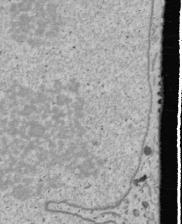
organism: Human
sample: Mitochondria in U2OS cells